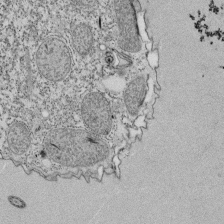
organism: Tetrahymena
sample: Cilia in tetrahymena